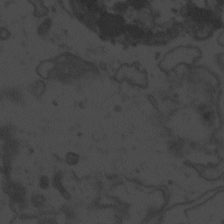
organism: Zebrafish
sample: Macrophage infected with Toxoplasma gondii